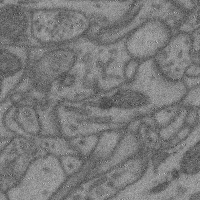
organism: Mouse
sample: Cerebral cortex